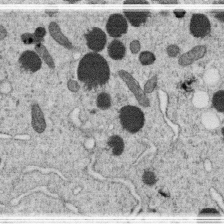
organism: C. elegans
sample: C. elegans oocyte; sperm cells